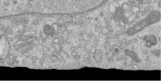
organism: Human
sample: Centriole in RPE cells